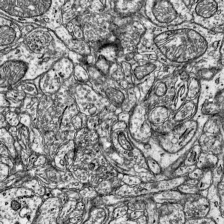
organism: Mouse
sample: Visual Cortex